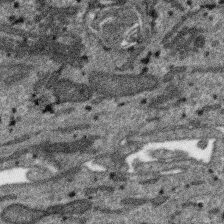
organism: Human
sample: Lung epithelial cells infected with SARS-CoV-2